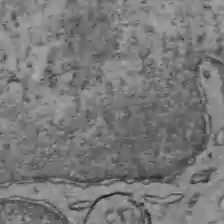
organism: C57BL Mouse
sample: Liver